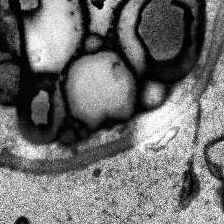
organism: Human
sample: Temporal Lobe